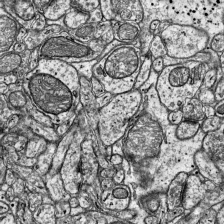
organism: Mouse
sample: Visual Cortex